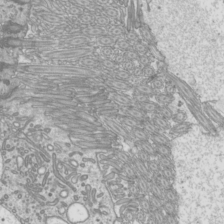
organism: Mouse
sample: Cilia; mouse epididymis